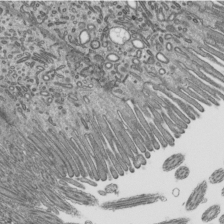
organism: Mouse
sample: Mouse epididymis efferent ductule cilia